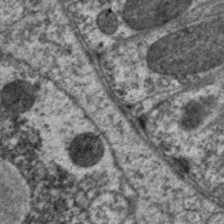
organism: C. elegans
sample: Pharynx